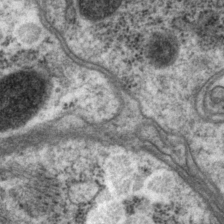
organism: P. pacificus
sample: Pharynx